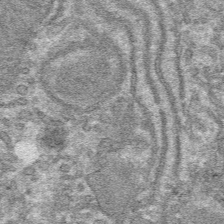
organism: Mouse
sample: Mouse hepatocytes